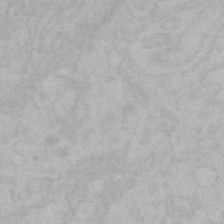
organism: Mouse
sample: Choroid plexus